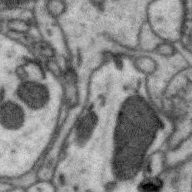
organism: Zebra finch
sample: Brain